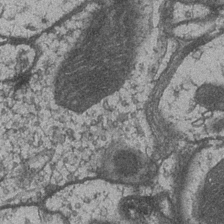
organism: Drosophila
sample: Optic medulla